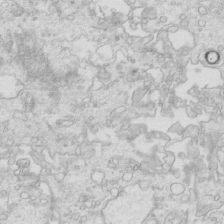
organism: Mouse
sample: Multiciliated cells